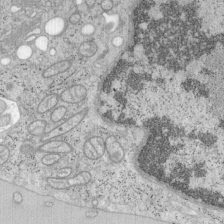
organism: Mouse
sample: OT-I killer T cells with ID8 ovarian cancer cells